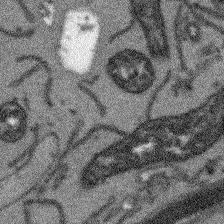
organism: Arabidopsis thaliana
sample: Root tip